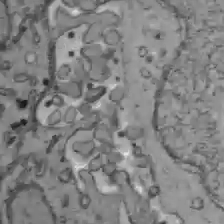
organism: C57BL Mouse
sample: Liver